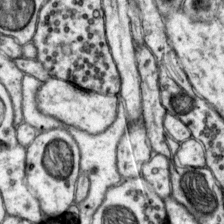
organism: Mouse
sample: Primary visual cortex